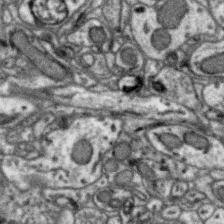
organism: Zebra finch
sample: Brain